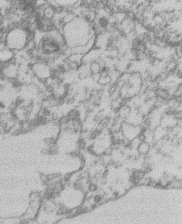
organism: Mouse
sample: T cell stromal cell synapse